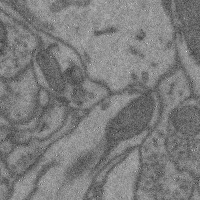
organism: Mouse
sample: Cerebral cortex